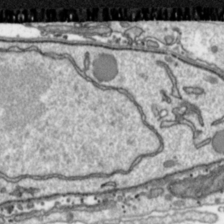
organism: Toxoplasma gondii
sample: Parasites in a vacuole inside a host cell